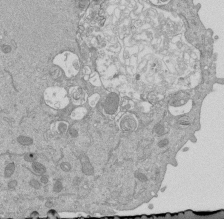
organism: Mouse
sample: ED-1 cell nuclei; centrioles